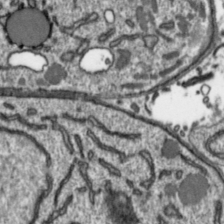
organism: Toxoplasma gondii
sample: Parasites in a vacuole inside a host cell